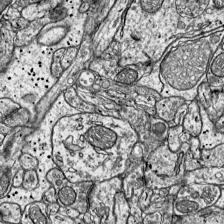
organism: Mouse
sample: Visual Cortex